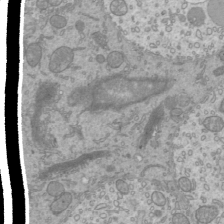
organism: Mouse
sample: Cilia; mouse epididymis